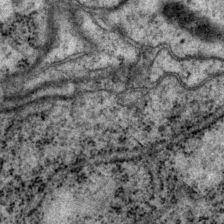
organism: P. pacificus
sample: Pharynx